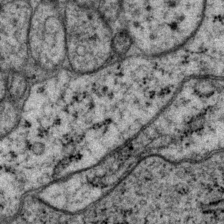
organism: P. pacificus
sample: Pharynx